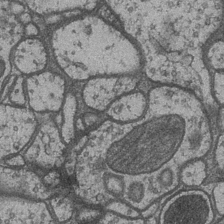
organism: Drosophila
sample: Optic medulla